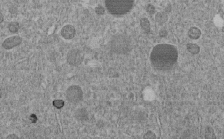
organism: C. elegans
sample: C. elegans embryo early stage